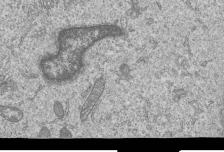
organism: Human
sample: MDA-MB-231 cells